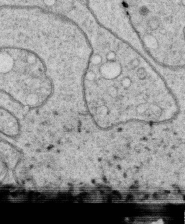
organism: C. elegans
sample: C. elegans oocyte; sperm cells